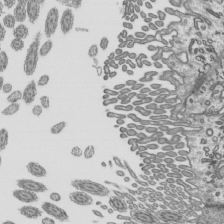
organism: Mouse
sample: Mouse epididymis efferent ductule cilia